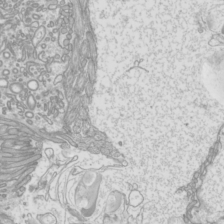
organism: Mouse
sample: Cilia; mouse epididymis